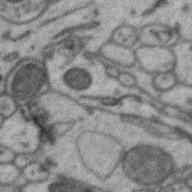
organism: Zebra finch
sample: Brain